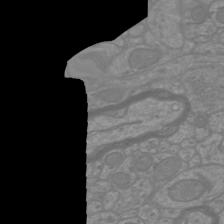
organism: Mouse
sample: Cortical neurons